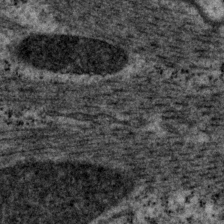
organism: P. pacificus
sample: Pharynx